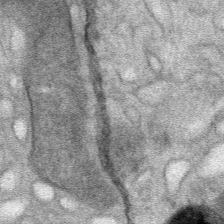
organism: Mouse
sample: Mouse Salivary gland